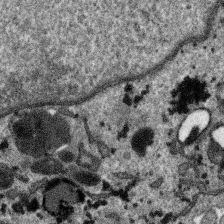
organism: Human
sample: Lung epithelial cells infected with SARS-CoV-2